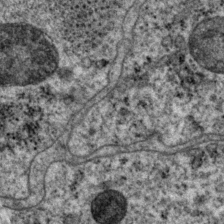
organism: P. pacificus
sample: Pharynx